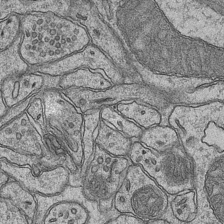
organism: Mouse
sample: CA1 Hippocampus